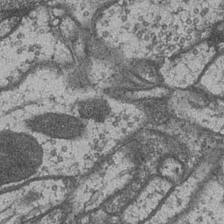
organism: Drosophila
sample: Optic medulla